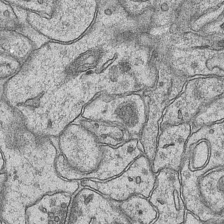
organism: Mouse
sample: CA1 Hippocampus